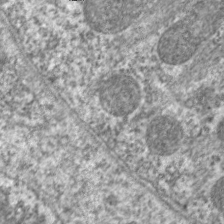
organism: C. elegans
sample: Pharynx